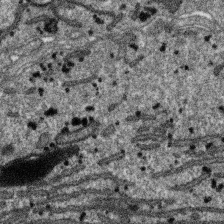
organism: Human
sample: Lung epithelial cells infected with SARS-CoV-2